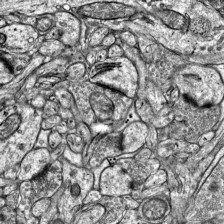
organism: Mouse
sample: Visual Cortex